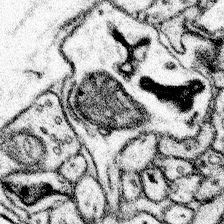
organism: Mouse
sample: Somatosensory cortex neuropil